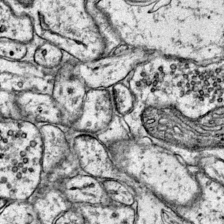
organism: Mouse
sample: Primary visual cortex